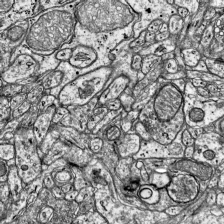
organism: Mouse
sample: Visual Cortex